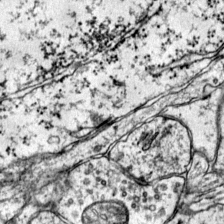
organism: Mouse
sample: Primary visual cortex